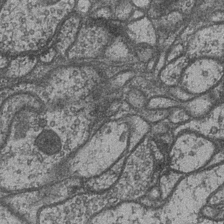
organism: Drosophila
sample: Optic medulla